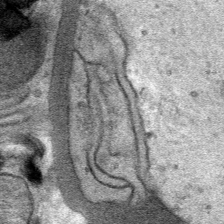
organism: Mouse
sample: Mouse Salivary gland